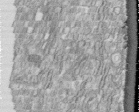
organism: Human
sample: Centriole in fibroblast cells